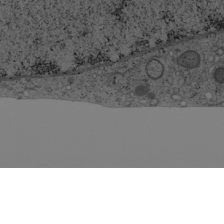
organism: African green monkey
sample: COS-7 cells